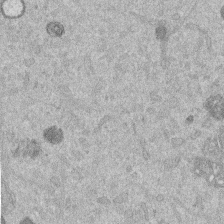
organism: Mouse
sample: Dividing mouse embryo 1 cell stage